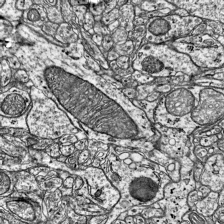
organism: Mouse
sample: Visual Cortex